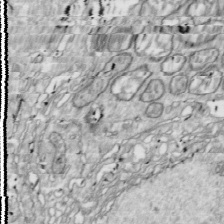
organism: Drosophila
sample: Cell division; meiosis; drosophila spermatocytes